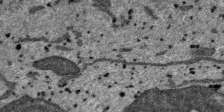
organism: Human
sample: Lung epithelial cells, uninfected (mock) control